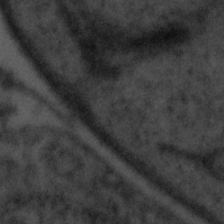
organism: Tuwongella immobilis